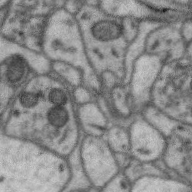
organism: Zebra finch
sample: Brain